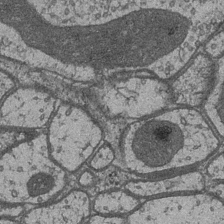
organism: Drosophila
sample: Optic medulla